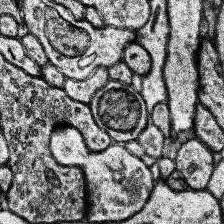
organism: Human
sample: Temporal Lobe